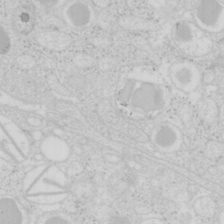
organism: Mouse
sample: Pancreas